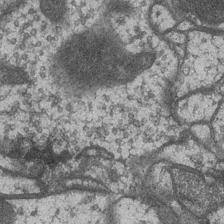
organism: Drosophila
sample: Optic medulla